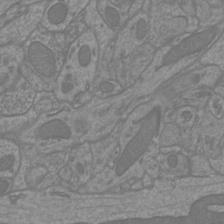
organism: Mouse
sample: Cortical neurons